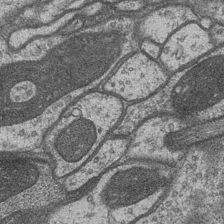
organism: Drosophila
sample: Optic medulla